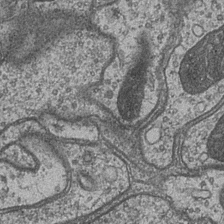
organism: Drosophila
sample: Optic medulla